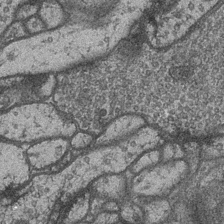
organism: Drosophila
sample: Optic medulla